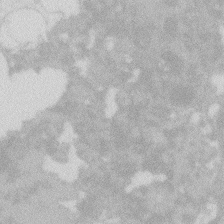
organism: Zebrafish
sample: Macrophage